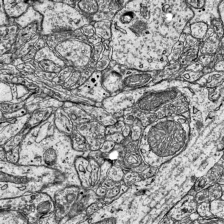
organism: Mouse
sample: Visual Cortex